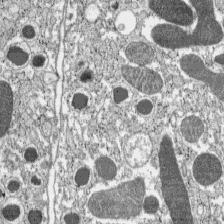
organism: C57BL Mouse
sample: Pancreatic islet